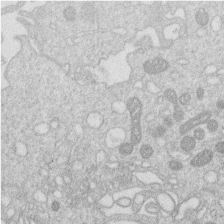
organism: Human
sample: Macrophage cells